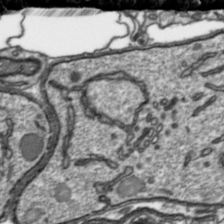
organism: Toxoplasma gondii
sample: Parasites in a vacuole inside a host cell